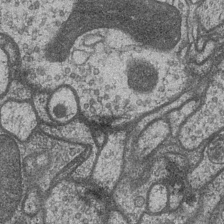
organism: Drosophila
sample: Optic medulla